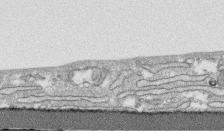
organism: Human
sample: CRL-1474